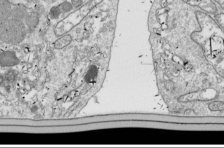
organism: Drosophila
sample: Cell division; meiosis; drosophila spermatocytes